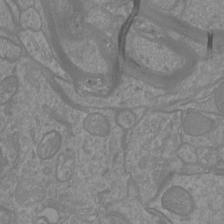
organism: Mouse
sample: Cortical neurons